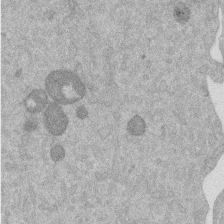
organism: Mouse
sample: Dividing mouse embryo 1 cell stage